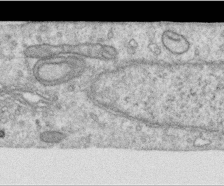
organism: Human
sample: Centriole in RPE cells